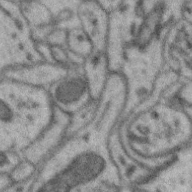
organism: Zebra finch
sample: Brain